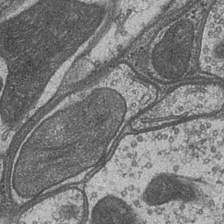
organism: Drosophila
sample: Optic medulla